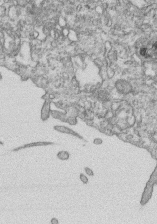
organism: Human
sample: HeLa cell HIV synapse